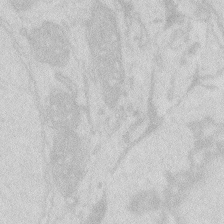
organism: Zebrafish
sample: Macrophage